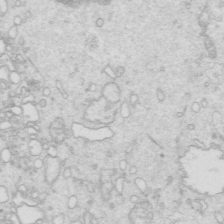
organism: Mouse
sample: Multiciliated cells